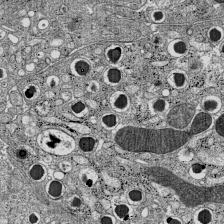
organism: C57BL Mouse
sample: Pancreatic islet